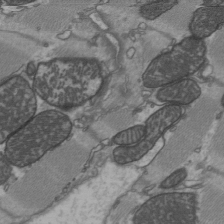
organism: C57BL Mouse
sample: Heart